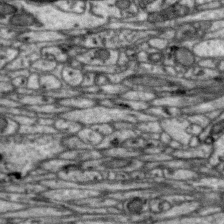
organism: Zebra finch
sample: Brain